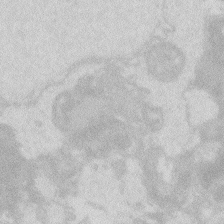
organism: Zebrafish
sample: Macrophage